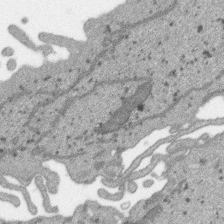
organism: Human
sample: Lung epithelial cells infected with SARS-CoV-2